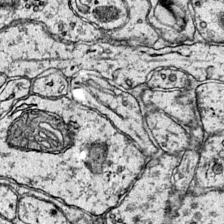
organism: Mouse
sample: Primary visual cortex